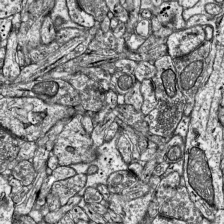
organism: Mouse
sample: Visual Cortex